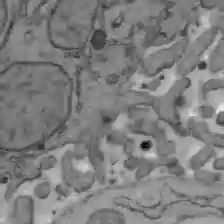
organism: C57BL Mouse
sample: Liver